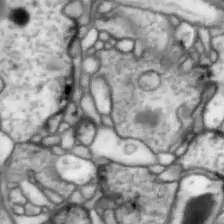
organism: Drosophila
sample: Optic lobe